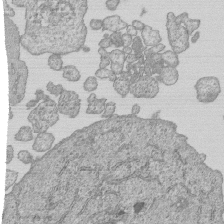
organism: Human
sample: MDA-MB-231 cells